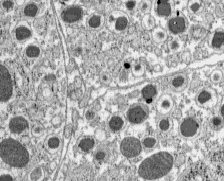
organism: C57BL Mouse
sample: Pancreatic islet